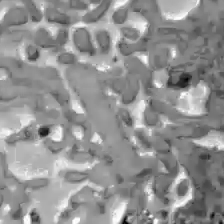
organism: C57BL Mouse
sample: Liver